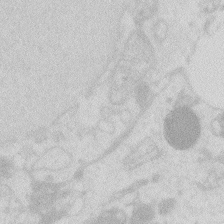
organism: Zebrafish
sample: Macrophage